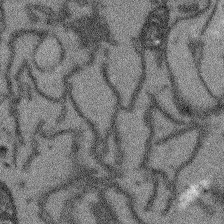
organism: Arabidopsis thaliana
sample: Root tip